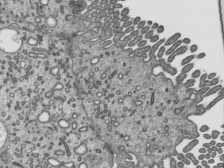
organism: Mouse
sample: Mouse epididymis efferent ductule cilia